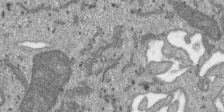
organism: Human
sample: Lung epithelial cells infected with SARS-CoV-2